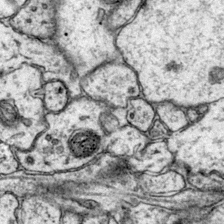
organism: Mouse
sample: Primary visual cortex